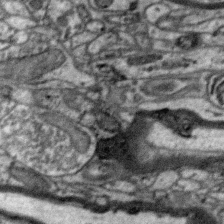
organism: Zebra finch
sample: Brain